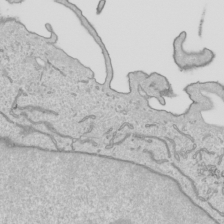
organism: Human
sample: Mitochondria in HCT116 cells